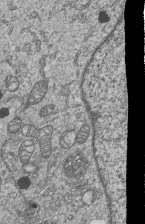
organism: Human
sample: MDA-MB-231 cells